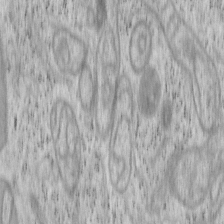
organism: Human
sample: HeLa cells